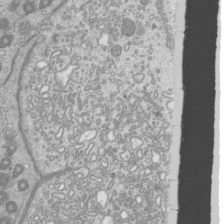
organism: Mouse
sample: Cilia; mouse epididymis